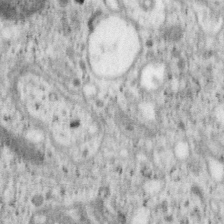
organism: Mouse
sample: OT-I killer T cells with ID8 ovarian cancer cells